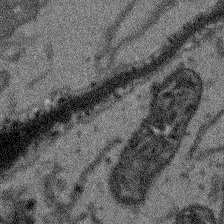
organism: Arabidopsis thaliana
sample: Root tip